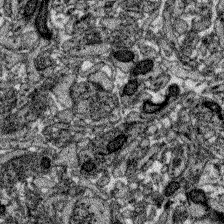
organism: Zebrafish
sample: Larval olfactory bulb